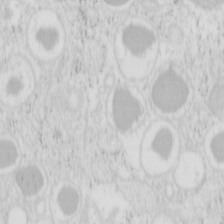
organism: Mouse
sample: Pancreas